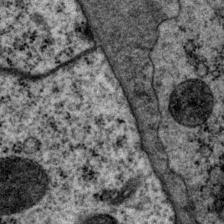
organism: P. pacificus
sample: Pharynx